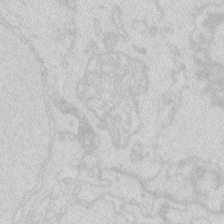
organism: Zebrafish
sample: Macrophage